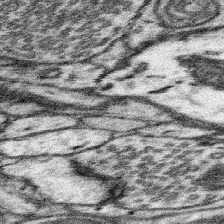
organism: Mouse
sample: Somatosensory cortex neuropil